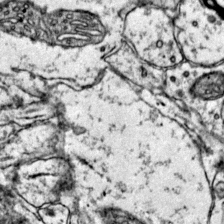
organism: Mouse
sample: Primary visual cortex